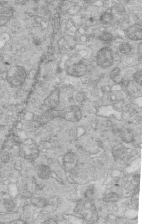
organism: Mouse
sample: Multiciliated cells